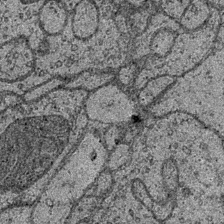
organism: Drosophila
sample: Optic medulla